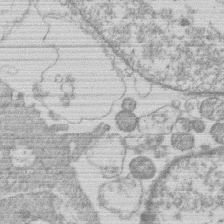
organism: Human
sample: Macrophage cells